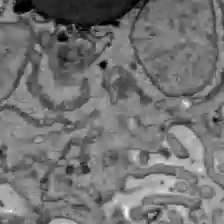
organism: C57BL Mouse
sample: Liver